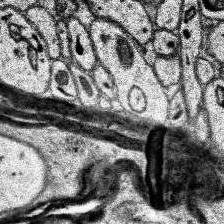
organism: Human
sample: Temporal Lobe